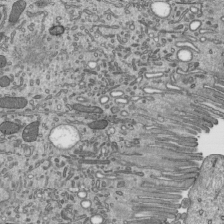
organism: Mouse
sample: Mouse epididymis efferent ductule cilia